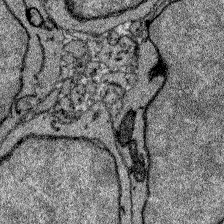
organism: Zebrafish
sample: Larval olfactory bulb